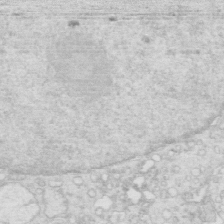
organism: Mouse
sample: Multiciliated cells